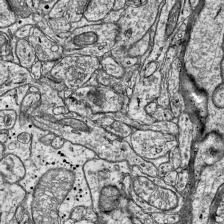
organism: Mouse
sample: Visual Cortex